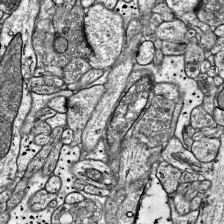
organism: Mouse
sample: Visual Cortex